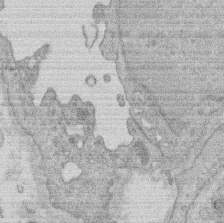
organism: Rat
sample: Salivary granule